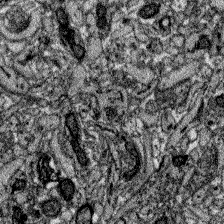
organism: Zebrafish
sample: Larval olfactory bulb